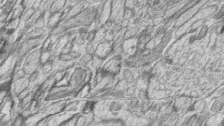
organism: Zebrafish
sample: synaptic ribbons in rod cells and cone cells